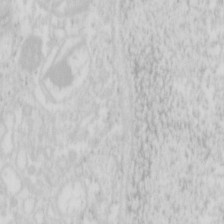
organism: Mouse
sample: Pancreas